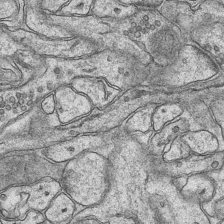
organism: Mouse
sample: CA1 Hippocampus